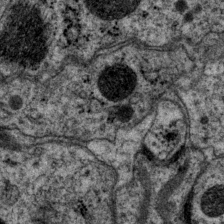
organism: P. pacificus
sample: Pharynx